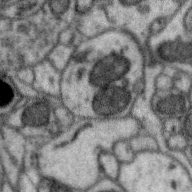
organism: Zebra finch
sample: Brain